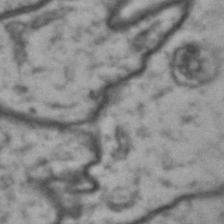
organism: Drosophila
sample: Brain